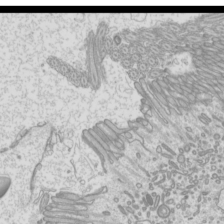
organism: Mouse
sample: Cilia; mouse epididymis